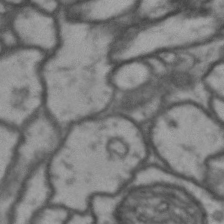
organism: Drosophila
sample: Brain